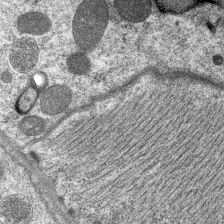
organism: C. elegans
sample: Pharynx